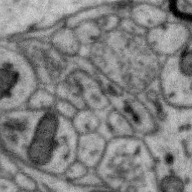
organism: Zebra finch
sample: Brain